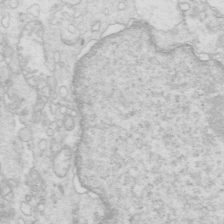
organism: Mouse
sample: Multiciliated cells